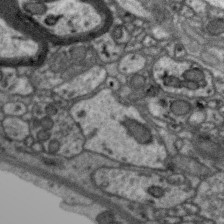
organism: Zebra finch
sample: Brain